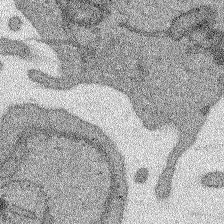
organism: Human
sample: HeLa cells